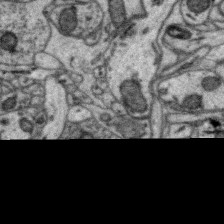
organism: Zebra finch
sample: Brain